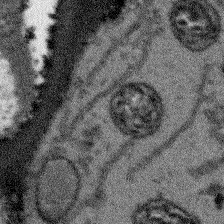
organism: Arabidopsis thaliana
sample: Root tip